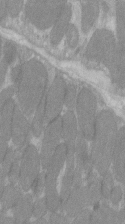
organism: C57BL Mouse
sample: Tibialis anterior muscle cell